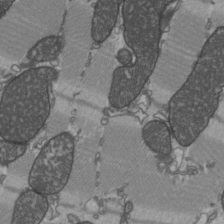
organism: C57BL Mouse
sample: Heart